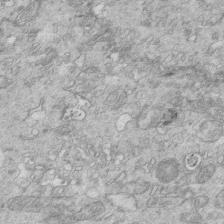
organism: Mouse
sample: Multiciliated cells